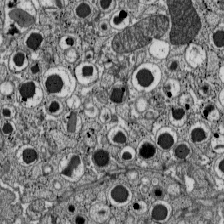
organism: C57BL Mouse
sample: Pancreatic islet